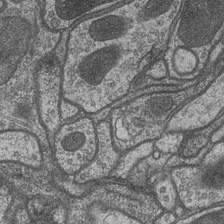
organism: Drosophila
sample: Optic medulla